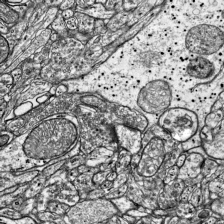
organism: Mouse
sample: Visual Cortex